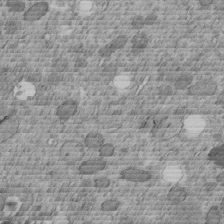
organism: C. elegans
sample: C. elegans embryo early stage